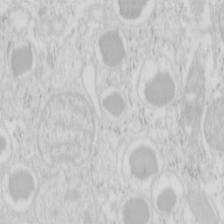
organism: Mouse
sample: Pancreas